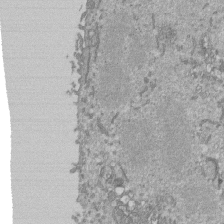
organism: Mouse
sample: ED-1 cell nuclei; centrioles